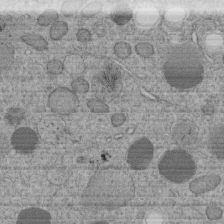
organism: C. elegans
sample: C. elegans embryo early stage